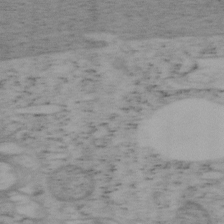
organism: Mouse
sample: OT-I killer T cells with ID8 ovarian cancer cells